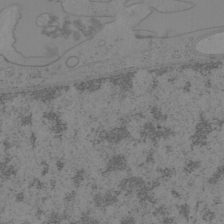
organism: Human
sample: HeLa cells